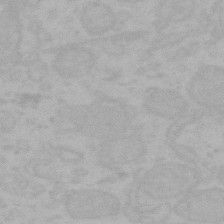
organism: Mouse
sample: Choroid plexus